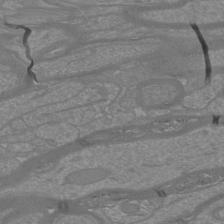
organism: Mouse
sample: Cortical neurons